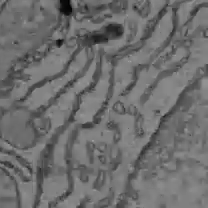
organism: C57BL Mouse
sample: Liver